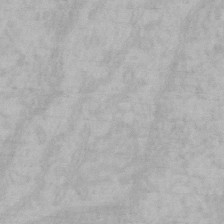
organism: Mouse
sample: Choroid plexus